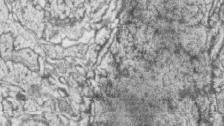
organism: Zebrafish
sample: synaptic ribbons in rod cells and cone cells